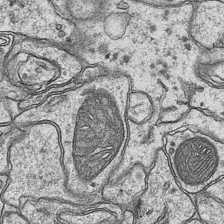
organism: Mouse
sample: CA1 Hippocampus